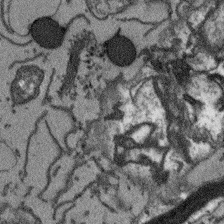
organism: Arabidopsis thaliana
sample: Root tip